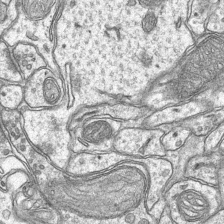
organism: Mouse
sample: CA1 Hippocampus